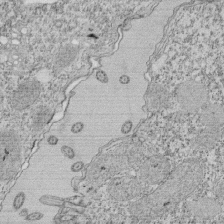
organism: Tetrahymena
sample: Cilia in tetrahymena